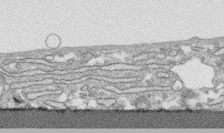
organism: Human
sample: CRL-1474